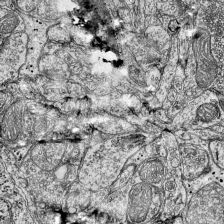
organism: Mouse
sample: Visual Cortex